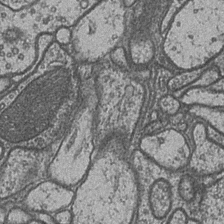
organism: Drosophila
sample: Optic medulla